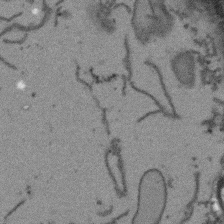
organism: Arabidopsis thaliana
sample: Root tip